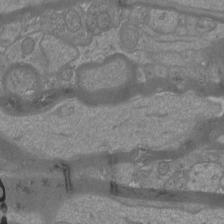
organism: Mouse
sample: Cortical neurons